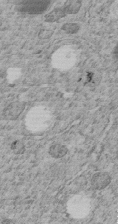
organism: C. elegans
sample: C. elegans embryo early stage